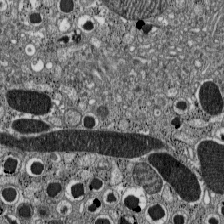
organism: C57BL Mouse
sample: Pancreatic islet